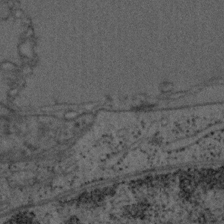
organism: Human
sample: HeLa cells